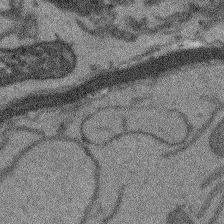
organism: Arabidopsis thaliana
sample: Root tip